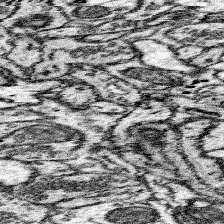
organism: Mouse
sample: Somatosensory cortex neuropil